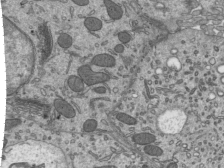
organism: Mouse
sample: Mouse epididymis efferent ductule cilia